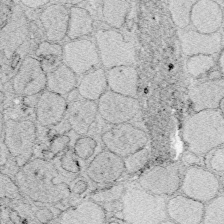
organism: Zebrafish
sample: Whole-Brain